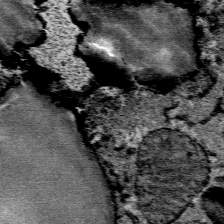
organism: Mouse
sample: Mouse Salivary gland